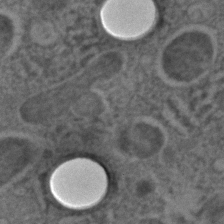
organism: C. elegans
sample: C. elegans embryo